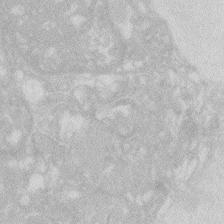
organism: Zebrafish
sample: Macrophage